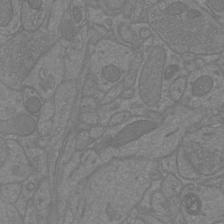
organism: Mouse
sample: Cortical neurons